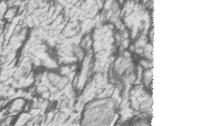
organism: Zebrafish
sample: synaptic ribbons in rod cells and cone cells